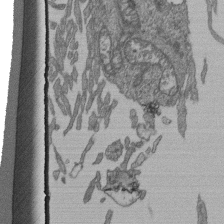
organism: Human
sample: Retinal organoid Rod and Cone cells